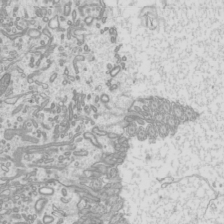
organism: Mouse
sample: Cilia; mouse epididymis